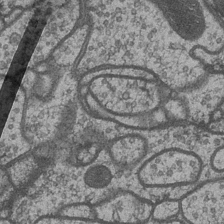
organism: Drosophila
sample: Optic medulla